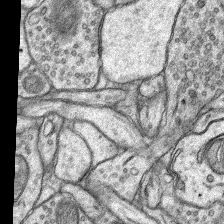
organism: Rat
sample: Hippocampus